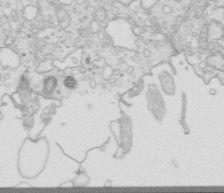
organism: Mouse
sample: Multiciliated cells